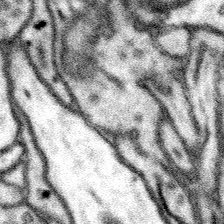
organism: Mouse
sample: Somatosensory cortex neuropil